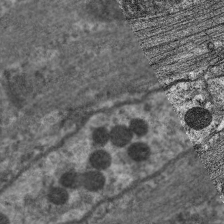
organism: C. elegans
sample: Pharynx